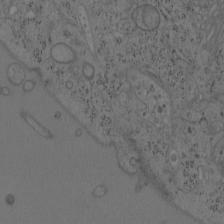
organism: Mouse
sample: OT-I killer T cells with ID8 ovarian cancer cells